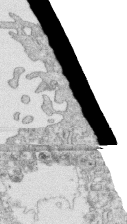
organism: Human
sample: HeLa cell HIV synapse